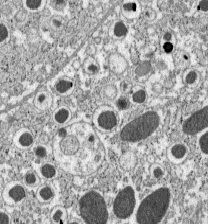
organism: C57BL Mouse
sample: Pancreatic islet